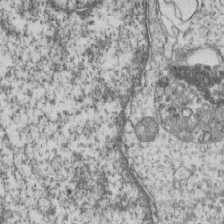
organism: Human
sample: MDA-MB-231 cells